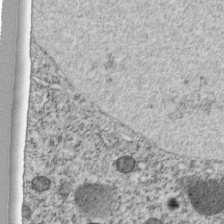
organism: C. elegans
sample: C. elegans embryo early stage